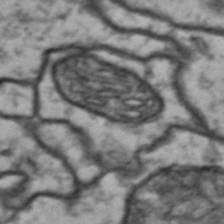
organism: Drosophila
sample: Brain